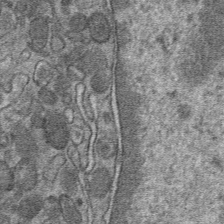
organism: Mouse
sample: Mouse hepatocytes